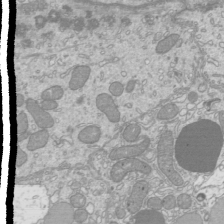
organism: Mouse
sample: Cilia; mouse epididymis